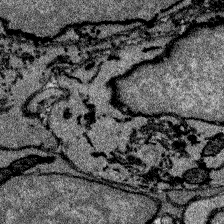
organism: Zebrafish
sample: Larval olfactory bulb